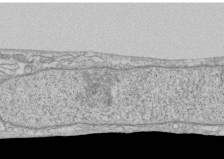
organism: Human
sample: CRL-1474